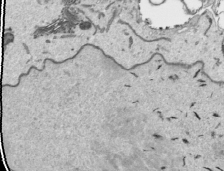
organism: Human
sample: Mitochondria in HCT116 cells